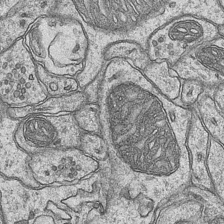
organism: Mouse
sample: CA1 Hippocampus